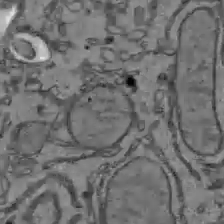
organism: C57BL Mouse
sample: Liver